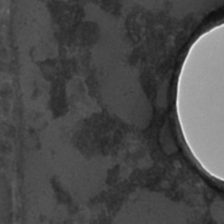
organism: C. elegans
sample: C. elegans embryo